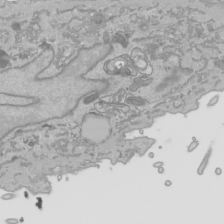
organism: Human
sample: Mitochondria in HCT116 cells